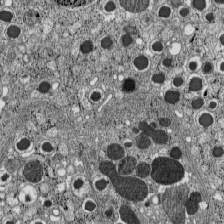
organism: C57BL Mouse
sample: Pancreatic islet